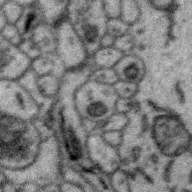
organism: Zebra finch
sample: Brain